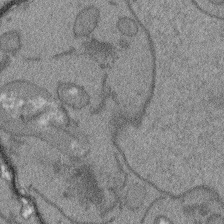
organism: Arabidopsis thaliana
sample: Root tip